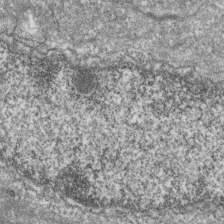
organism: Zebrafish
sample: Cilia; retinal pigment epithelium